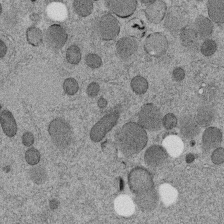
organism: C. elegans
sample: C. elegans embryo early stage